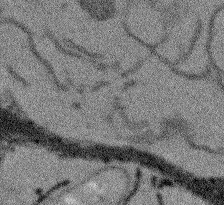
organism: Arabidopsis thaliana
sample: Root tip